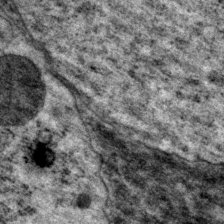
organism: P. pacificus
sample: Pharynx